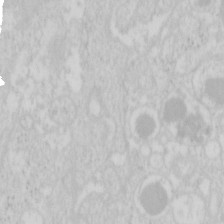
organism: Mouse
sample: Pancreas